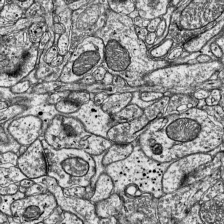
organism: Mouse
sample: Visual Cortex